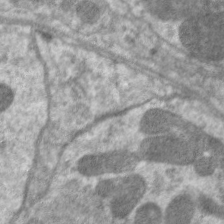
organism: C. elegans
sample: Pharynx